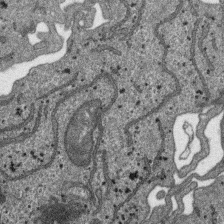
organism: Human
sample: Lung epithelial cells infected with SARS-CoV-2